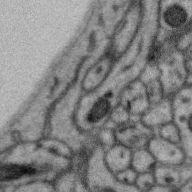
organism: Zebra finch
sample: Brain